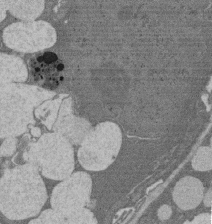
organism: Rat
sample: Salivary granule